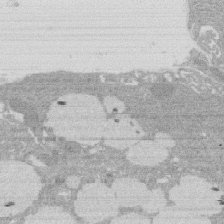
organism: Rat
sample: Salivary granule